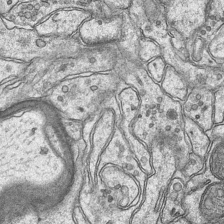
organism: Mouse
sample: CA1 Hippocampus